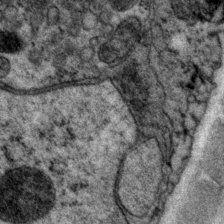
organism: P. pacificus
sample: Pharynx